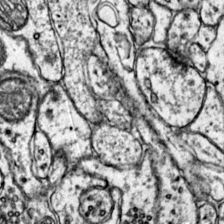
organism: Mouse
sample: Primary visual cortex